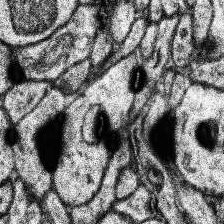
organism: Human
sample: Temporal Lobe